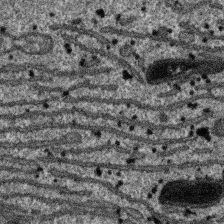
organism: Human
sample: Lung epithelial cells infected with SARS-CoV-2